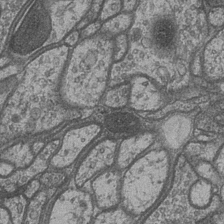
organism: Drosophila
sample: Optic medulla